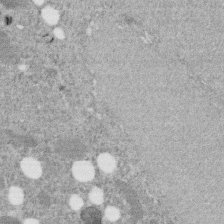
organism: C. elegans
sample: C. elegans embryo early stage